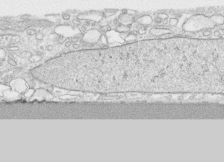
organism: Human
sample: CRL-1474